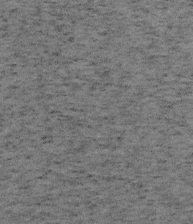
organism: Mouse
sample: OT-I killer T cells with ID8 ovarian cancer cells